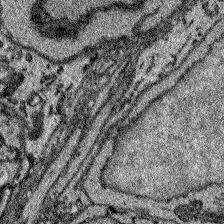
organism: Zebrafish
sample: Larval olfactory bulb